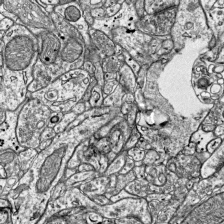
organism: Mouse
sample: Visual Cortex